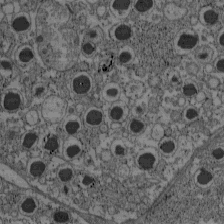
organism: C57BL Mouse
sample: Pancreatic islet